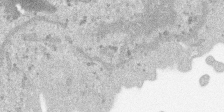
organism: Human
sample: Lung epithelial cells infected with SARS-CoV-2